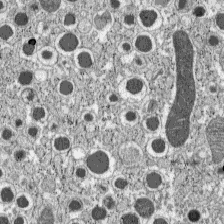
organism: C57BL Mouse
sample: Pancreatic islet